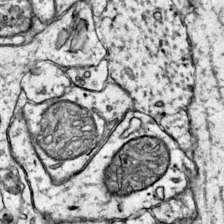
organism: Mouse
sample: Primary visual cortex